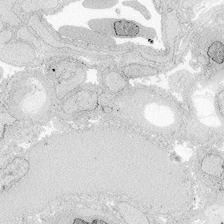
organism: Zebrafish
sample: Whole-Brain